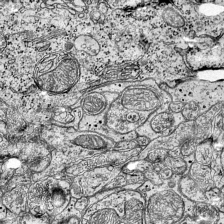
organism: Mouse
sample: Visual Cortex